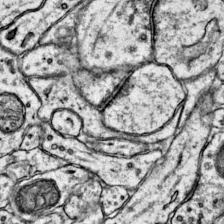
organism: Mouse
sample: Primary visual cortex